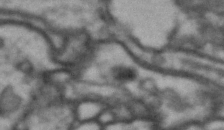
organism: Drosophila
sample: Brain